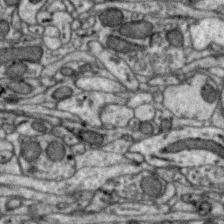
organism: Zebra finch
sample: Brain